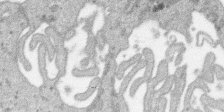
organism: Human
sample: Lung epithelial cells infected with SARS-CoV-2